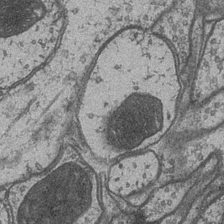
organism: Drosophila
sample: Optic medulla